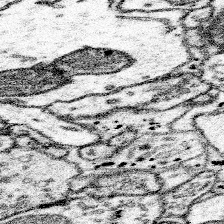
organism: Mouse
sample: Somatosensory cortex neuropil